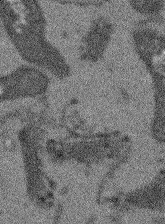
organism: Arabidopsis thaliana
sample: Root tip